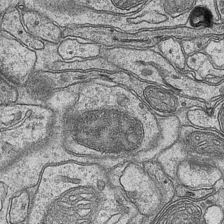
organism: Mouse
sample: CA1 Hippocampus